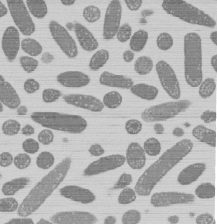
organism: E. coli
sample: Bacterial nucleoid